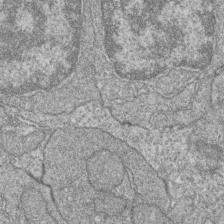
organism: Zebrafish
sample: Cilia; retinal pigment epithelium